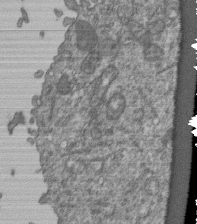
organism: Human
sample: Retinal organoid Rod and Cone cells